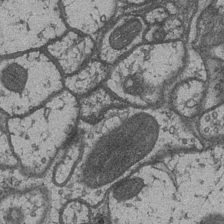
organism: Drosophila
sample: Optic medulla